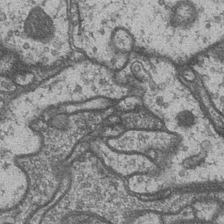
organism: Drosophila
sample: Optic medulla